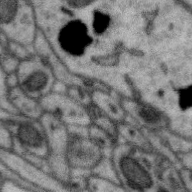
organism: Zebra finch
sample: Brain